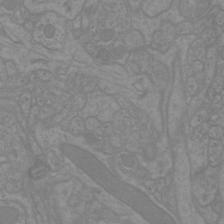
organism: Mouse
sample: Cortical neurons